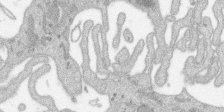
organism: Human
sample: Lung epithelial cells infected with SARS-CoV-2